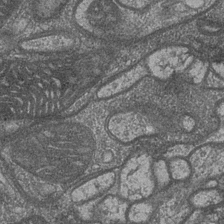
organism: Drosophila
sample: Optic medulla